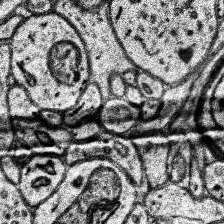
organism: Human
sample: Temporal Lobe